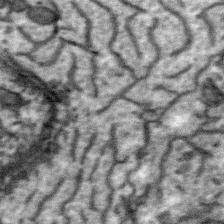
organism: Zebra finch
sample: Brain